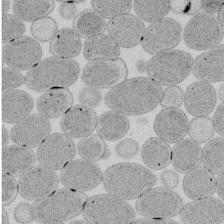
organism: E. coli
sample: Bacterial nucleoid